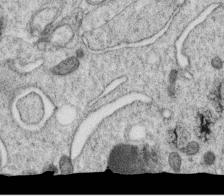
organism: C. elegans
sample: C. elegans oocyte; sperm cells